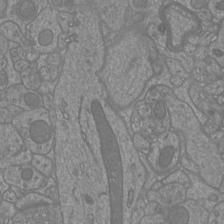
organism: Mouse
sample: Cortical neurons